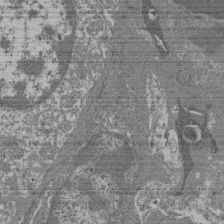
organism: Mouse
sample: Glomerulus